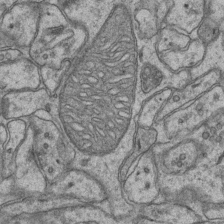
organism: Mouse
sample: CA1 Hippocampus